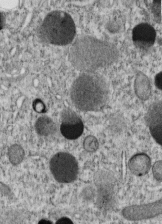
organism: C. elegans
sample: C. elegans embryo early stage